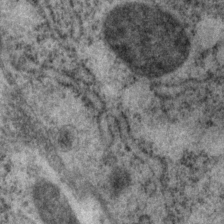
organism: P. pacificus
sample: Pharynx